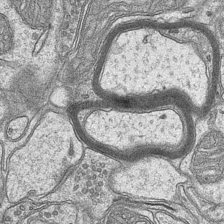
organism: Mouse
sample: CA1 Hippocampus